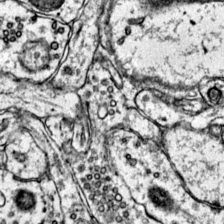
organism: Mouse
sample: Primary visual cortex